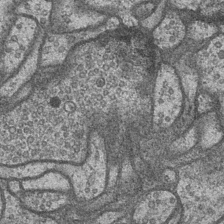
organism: Drosophila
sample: Optic medulla